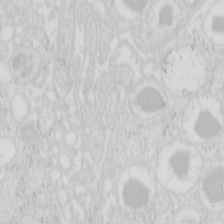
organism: Mouse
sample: Pancreas